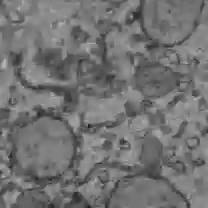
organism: C57BL Mouse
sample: Liver